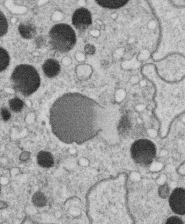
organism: C. elegans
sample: C. elegans oocyte; sperm cells